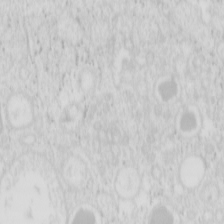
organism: Mouse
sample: Pancreas